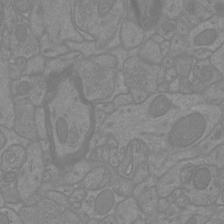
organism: Mouse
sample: Cortical neurons